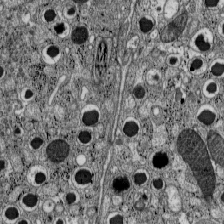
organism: C57BL Mouse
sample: Pancreatic islet